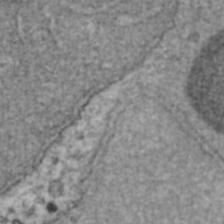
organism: Human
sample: Blood